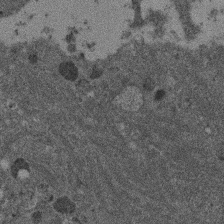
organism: Mouse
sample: Dividing mouse embryo 1 cell stage